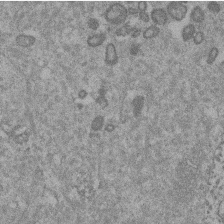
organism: Mouse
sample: Dividing mouse embryo 1 cell stage